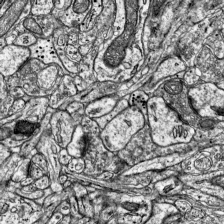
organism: Mouse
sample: Visual Cortex